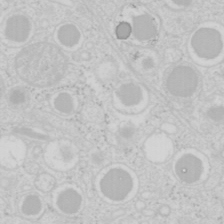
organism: Mouse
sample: Pancreas